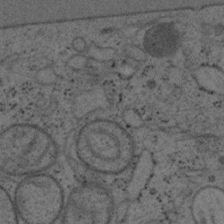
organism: Human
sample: HeLa cells